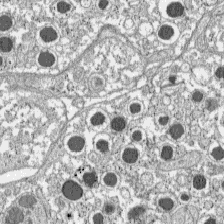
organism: C57BL Mouse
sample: Pancreatic islet